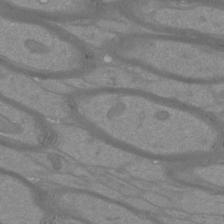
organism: Mouse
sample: Cortical neurons